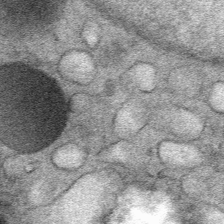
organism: Mouse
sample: Mouse Salivary gland